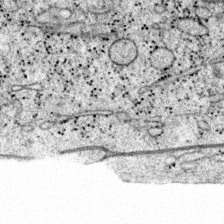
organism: Human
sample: HeLa cells